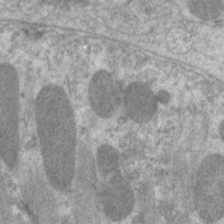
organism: C. elegans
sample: Pharynx